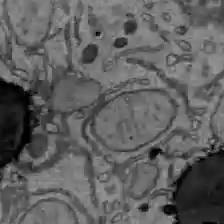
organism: C57BL Mouse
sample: Liver